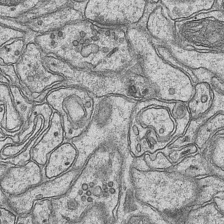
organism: Mouse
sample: CA1 Hippocampus